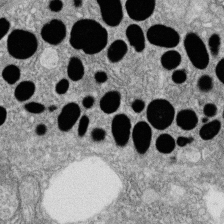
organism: Zebrafish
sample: Cilia; retinal pigment epithelium